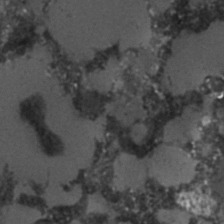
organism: C. elegans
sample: C. elegans embryo